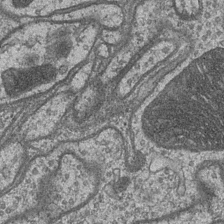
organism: Drosophila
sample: Optic medulla